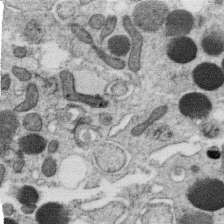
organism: C. elegans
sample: C. elegans oocyte; sperm cells